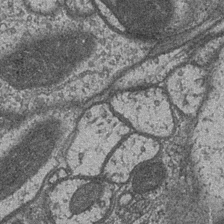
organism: Drosophila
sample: Optic medulla